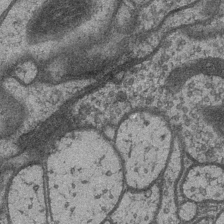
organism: Drosophila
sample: Optic medulla